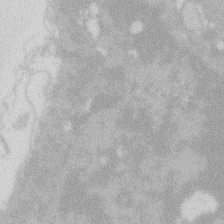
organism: Zebrafish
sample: Macrophage